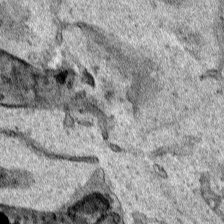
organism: Human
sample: Mitochondria in HCT116 cells